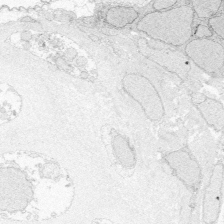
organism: Zebrafish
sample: Whole-Brain